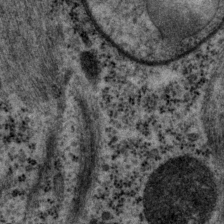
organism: P. pacificus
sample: Pharynx